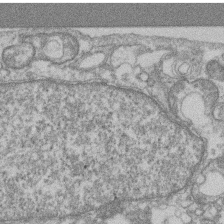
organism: Mouse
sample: T cell stromal cell synapse